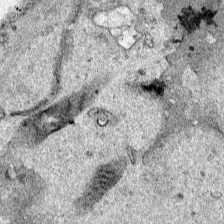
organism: Human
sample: Mitochondria in HCT116 cells